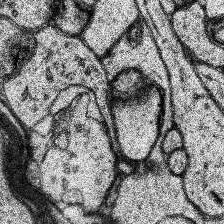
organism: Human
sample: Temporal Lobe